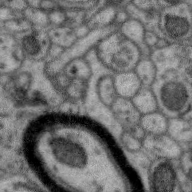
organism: Zebra finch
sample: Brain